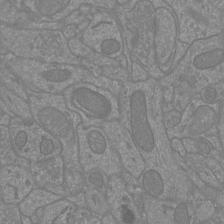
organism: Mouse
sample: Cortical neurons